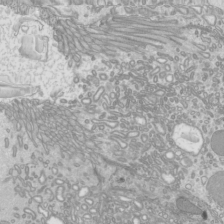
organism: Mouse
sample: Cilia; mouse epididymis